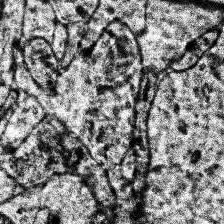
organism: Human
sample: Temporal Lobe